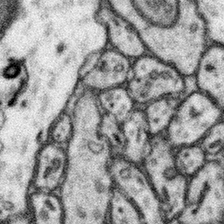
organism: Mouse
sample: Somatosensory cortex neuropil